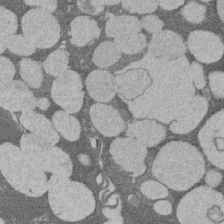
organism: Rat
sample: Salivary granule